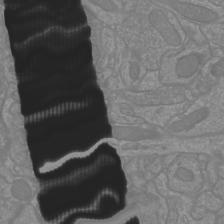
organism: Mouse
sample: Cortical neurons